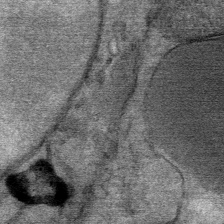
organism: Mouse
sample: Mouse Salivary gland